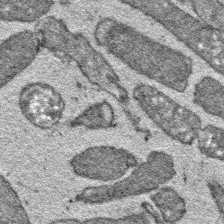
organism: E. coli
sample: E. Coli Bacteria